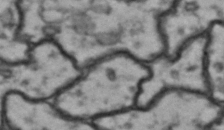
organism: Drosophila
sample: Brain